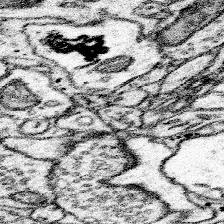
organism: Mouse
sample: Somatosensory cortex neuropil